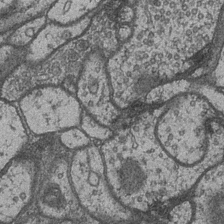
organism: Drosophila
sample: Optic medulla